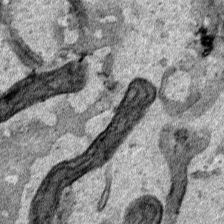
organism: Human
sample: Mitochondria in HCT116 cells